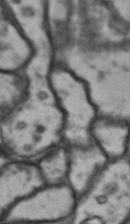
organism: Drosophila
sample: Brain